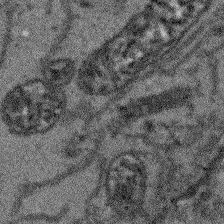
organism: Arabidopsis thaliana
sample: Root tip